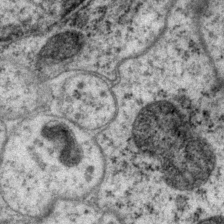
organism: P. pacificus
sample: Pharynx